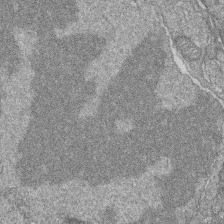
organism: Zebrafish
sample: Cilia; retinal pigment epithelium